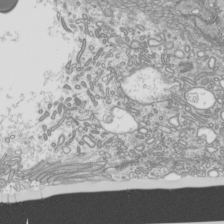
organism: Mouse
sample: Cilia; mouse epididymis